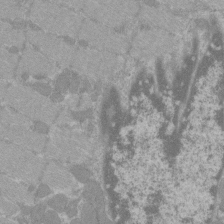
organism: C57BL Mouse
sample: Tibialis anterior muscle cell